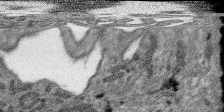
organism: Human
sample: Lung epithelial cells infected with SARS-CoV-2